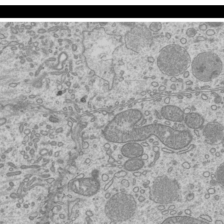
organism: Mouse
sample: Cilia; mouse epididymis